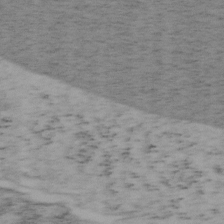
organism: Mouse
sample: OT-I killer T cells with ID8 ovarian cancer cells